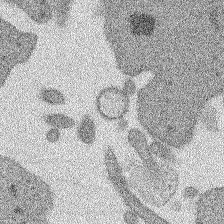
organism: Human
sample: HeLa cells